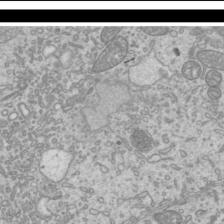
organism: Mouse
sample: Cilia; mouse epididymis